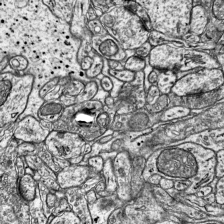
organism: Mouse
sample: Visual Cortex